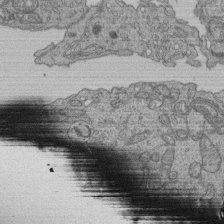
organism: Human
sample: Retinal organoid Rod and Cone cells